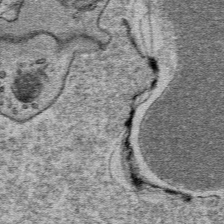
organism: Mouse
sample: Mouse Salivary gland